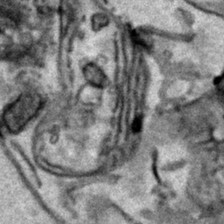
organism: Human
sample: Mitochondria in HCT116 cells